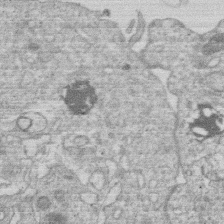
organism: Human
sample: Macrophage cells